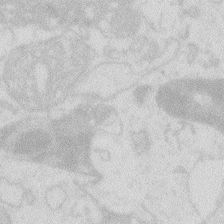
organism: Zebrafish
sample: Macrophage